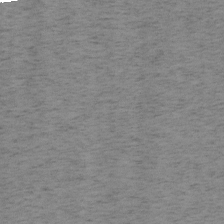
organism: Mouse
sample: OT-I killer T cells with ID8 ovarian cancer cells